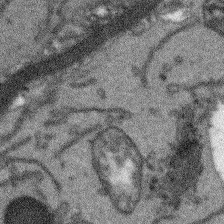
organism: Arabidopsis thaliana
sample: Root tip